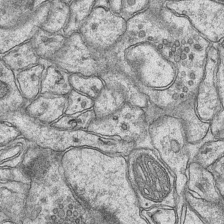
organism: Mouse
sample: CA1 Hippocampus